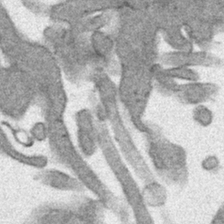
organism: Human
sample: Mitochondria in HCT116 cells